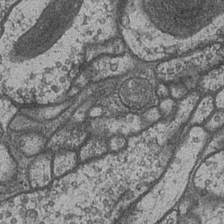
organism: Drosophila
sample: Optic medulla